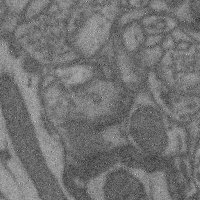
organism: Mouse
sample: Cerebral cortex